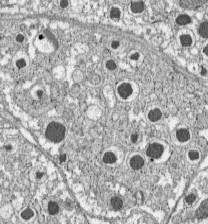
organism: C57BL Mouse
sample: Pancreatic islet